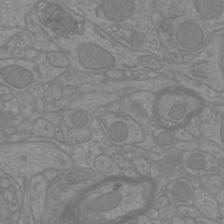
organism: Mouse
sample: Cortical neurons